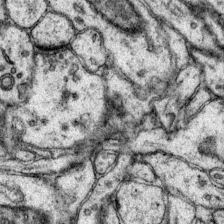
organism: Mouse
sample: Primary visual cortex